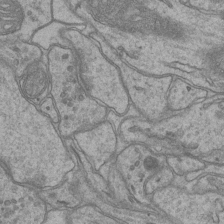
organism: Mouse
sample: CA1 Hippocampus